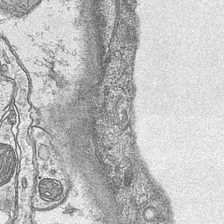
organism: Mouse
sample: CA1 Hippocampus